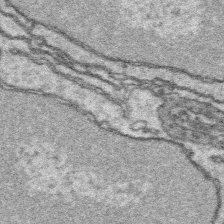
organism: Platynereis dumerilii